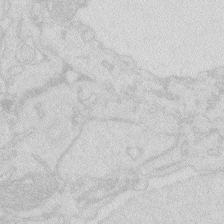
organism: Zebrafish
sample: Macrophage